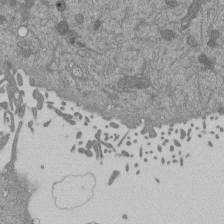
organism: Mouse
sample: ED-1 cell nuclei; centrioles